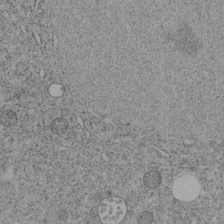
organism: C. elegans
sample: C. elegans embryo early stage